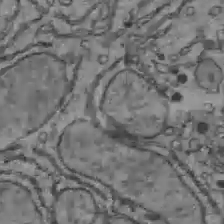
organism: C57BL Mouse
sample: Liver